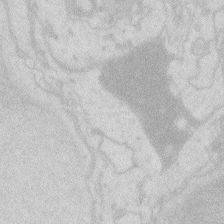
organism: Zebrafish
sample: Macrophage